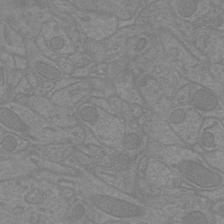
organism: Mouse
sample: Cortical neurons